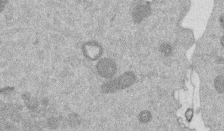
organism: Mouse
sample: Dividing mouse embryo 1 cell stage